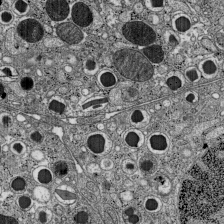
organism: C57BL Mouse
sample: Pancreatic islet